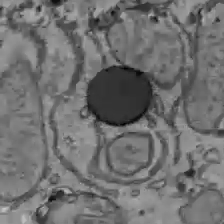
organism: C57BL Mouse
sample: Liver